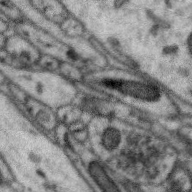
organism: Zebra finch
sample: Brain